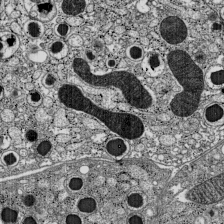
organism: C57BL Mouse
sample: Pancreatic islet